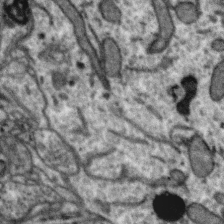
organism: Zebra finch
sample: Brain